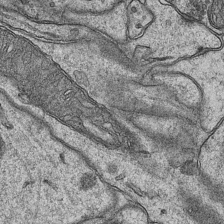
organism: Mouse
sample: CA1 Hippocampus